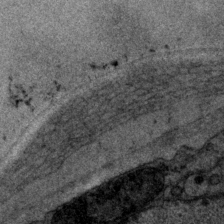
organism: P. pacificus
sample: Pharynx